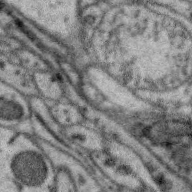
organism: Zebra finch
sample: Brain